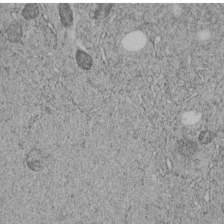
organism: C. elegans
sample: C. elegans embryo early stage